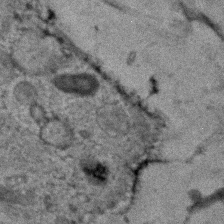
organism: Human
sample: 1205lu cells